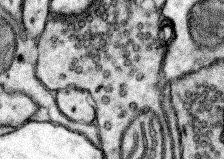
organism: Mouse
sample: Somatosensory cortex neuropil